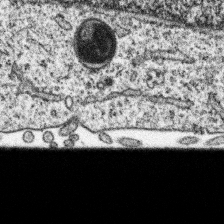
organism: Human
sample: HeLa cells